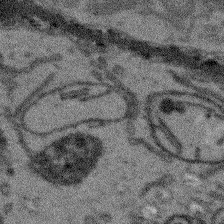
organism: Arabidopsis thaliana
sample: Root tip